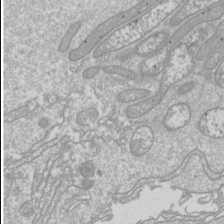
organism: Drosophila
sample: Cell division; meiosis; drosophila spermatocytes